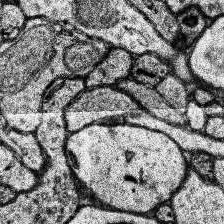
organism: Human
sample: Temporal Lobe